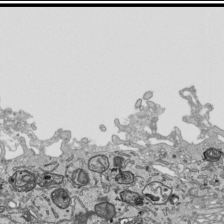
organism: Human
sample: Mitochondria in HCT116 cells